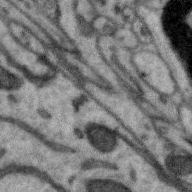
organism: Zebra finch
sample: Brain